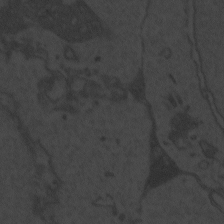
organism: Zebrafish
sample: Macrophage infected with Toxoplasma gondii